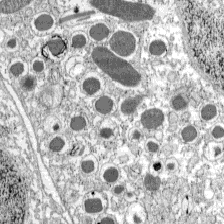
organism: C57BL Mouse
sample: Pancreatic islet